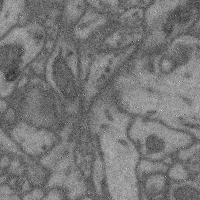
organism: Mouse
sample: Cerebral cortex